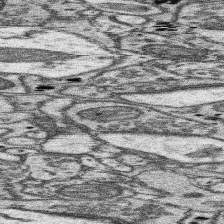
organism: Mouse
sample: Somatosensory cortex neuropil